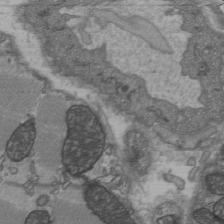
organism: C57BL Mouse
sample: Heart